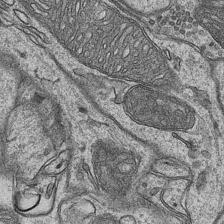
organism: Mouse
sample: CA1 Hippocampus